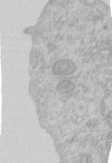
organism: Human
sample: Centriole in RPE cells